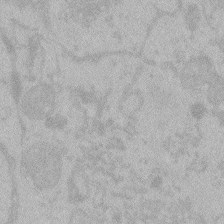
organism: Zebrafish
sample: Macrophage infected with Toxoplasma gondii